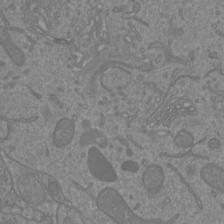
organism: Mouse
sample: Cortical neurons